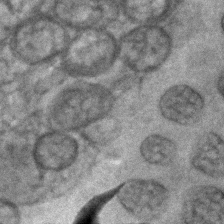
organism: C. elegans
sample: C. elegans embryo